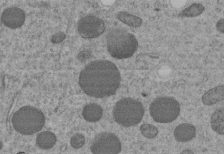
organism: C. elegans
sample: C. elegans embryo early stage